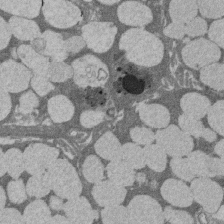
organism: Rat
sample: Salivary granule